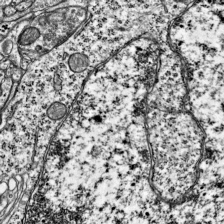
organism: Mouse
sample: Visual Cortex